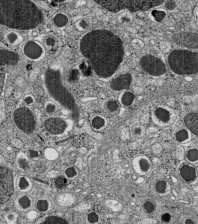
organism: C57BL Mouse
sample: Pancreatic islet